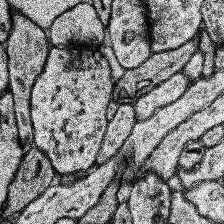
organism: Human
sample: Temporal Lobe